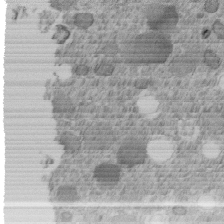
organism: C. elegans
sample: C. elegans embryo early stage